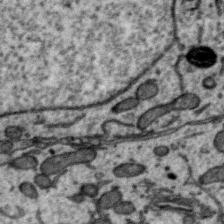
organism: Zebra finch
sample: Brain